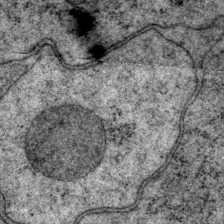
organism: P. pacificus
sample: Pharynx